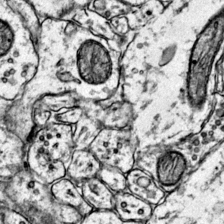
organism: Mouse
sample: Primary visual cortex